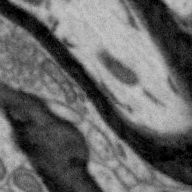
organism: Zebra finch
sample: Brain